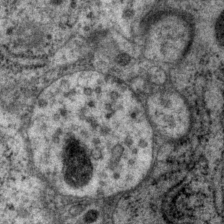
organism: P. pacificus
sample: Pharynx